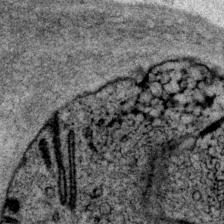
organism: P. pacificus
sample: Pharynx